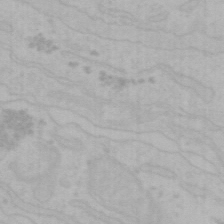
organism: Mouse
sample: Choroid plexus